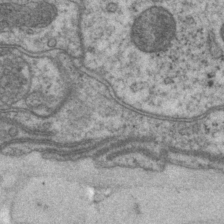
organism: P. pacificus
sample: Pharynx